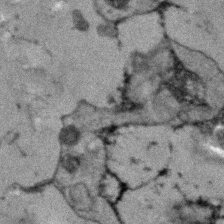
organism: Human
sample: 1205lu cells